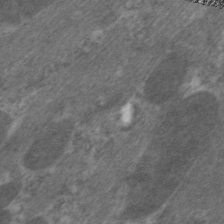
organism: C. elegans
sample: Pharynx